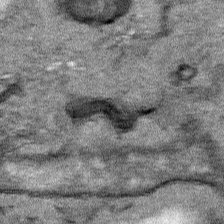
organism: Human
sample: Mitochondria in HCT116 cells